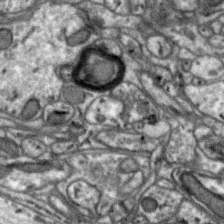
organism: Zebra finch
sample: Brain